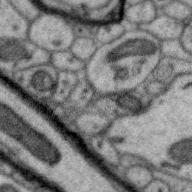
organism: Zebra finch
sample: Brain